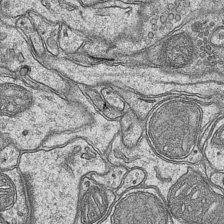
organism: Mouse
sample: CA1 Hippocampus